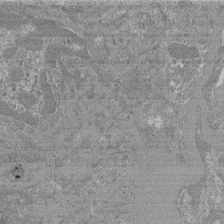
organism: Mouse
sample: Glomerulus